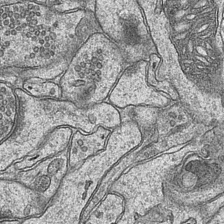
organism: Mouse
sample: CA1 Hippocampus